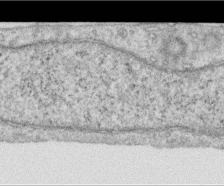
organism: Human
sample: Centriole in RPE cells